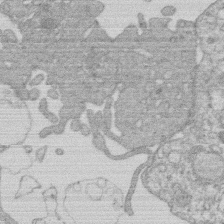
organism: Human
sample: Macrophage cells